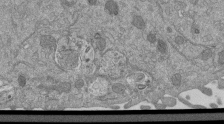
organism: Mouse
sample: ED-1 cell nuclei; centrioles